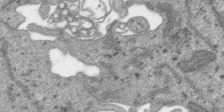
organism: Human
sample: Lung epithelial cells infected with SARS-CoV-2